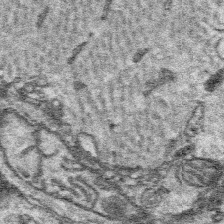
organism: Platynereis dumerilii